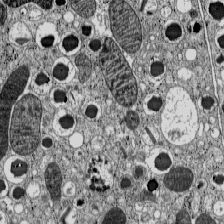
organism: C57BL Mouse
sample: Pancreatic islet